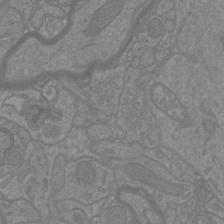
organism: Mouse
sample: Cortical neurons